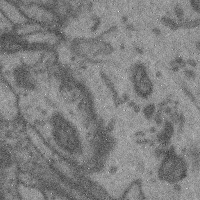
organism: Mouse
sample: Cerebral cortex